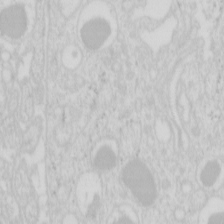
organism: Mouse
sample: Pancreas